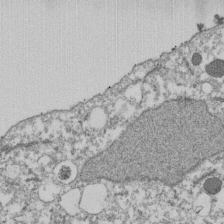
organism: Dictyostelium discoideum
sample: Dictyostelium multivesicular bodies